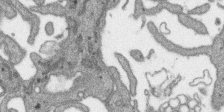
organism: Human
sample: Lung epithelial cells infected with SARS-CoV-2